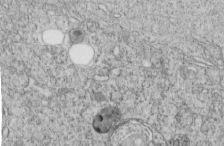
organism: C. elegans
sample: C. elegans embryo early stage